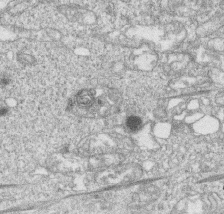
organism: Human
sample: HeLa cell HIV synapse